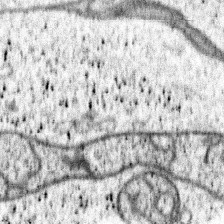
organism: Human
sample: HeLa cells